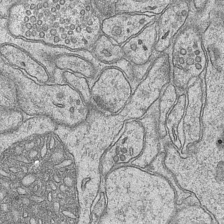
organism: Mouse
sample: CA1 Hippocampus